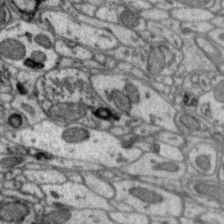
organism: Zebra finch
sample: Brain